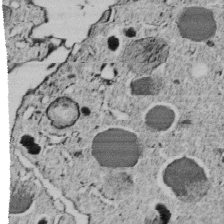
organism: C. elegans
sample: C. elegans embryo early stage